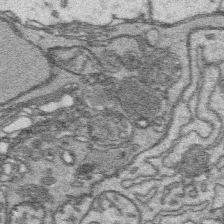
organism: Platynereis dumerilii